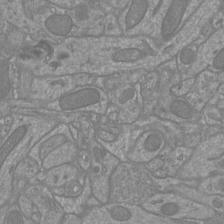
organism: Mouse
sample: Cortical neurons